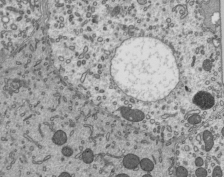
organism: Mouse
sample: Mouse epididymis efferent ductule cilia